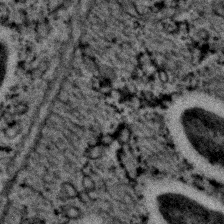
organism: C. elegans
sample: C. elegans embryo